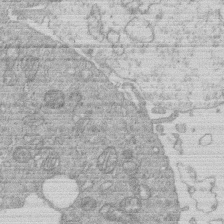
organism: Human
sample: Macrophage cells